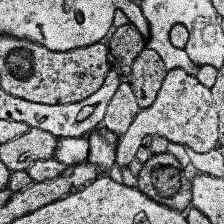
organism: Human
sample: Temporal Lobe